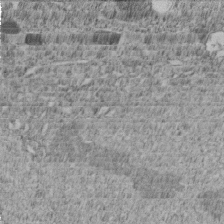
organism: C. elegans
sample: C. elegans embryo early stage